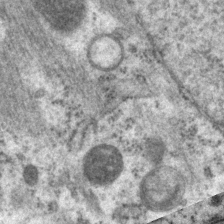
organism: P. pacificus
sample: Pharynx